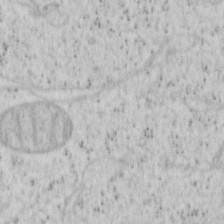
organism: Human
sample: HeLa cells